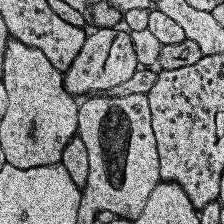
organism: Human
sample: Temporal Lobe